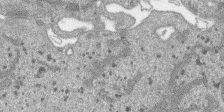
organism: Human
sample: Lung epithelial cells infected with SARS-CoV-2